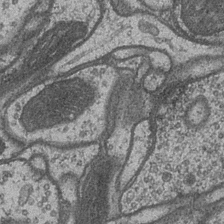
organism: Drosophila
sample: Optic medulla